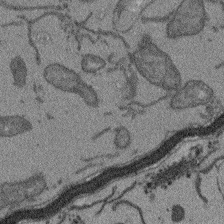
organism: Arabidopsis thaliana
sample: Root tip